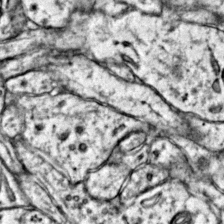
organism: Mouse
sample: Primary visual cortex